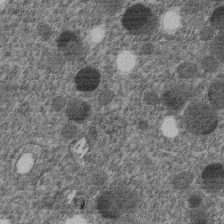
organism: C. elegans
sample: C. elegans embryo early stage